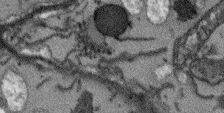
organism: Arabidopsis thaliana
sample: Root tip